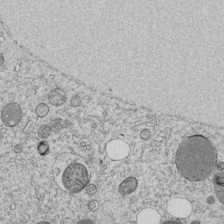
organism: C. elegans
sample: C. elegans embryo early stage